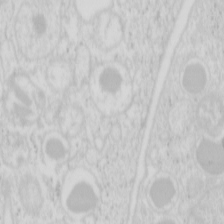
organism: Mouse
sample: Pancreas